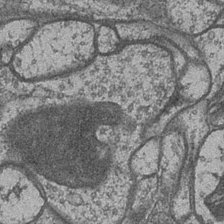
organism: Drosophila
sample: Optic medulla